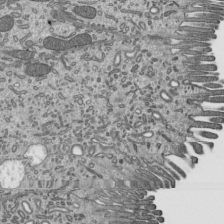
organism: Mouse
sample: Mouse epididymis efferent ductule cilia